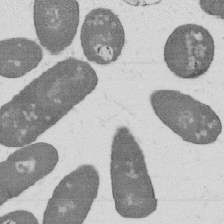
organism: B. subtilis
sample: Bacterial spore